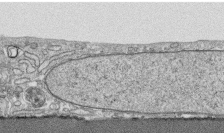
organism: Human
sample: CRL-1474